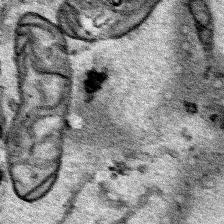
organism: Human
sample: Mitochondria in HCT116 cells